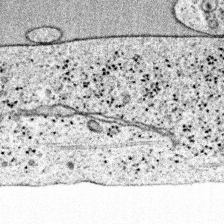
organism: Human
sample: HeLa cells